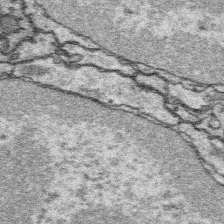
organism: Platynereis dumerilii